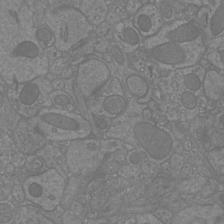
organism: Mouse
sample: Cortical neurons